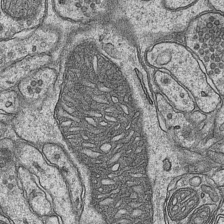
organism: Mouse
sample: CA1 Hippocampus